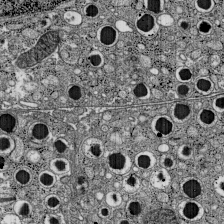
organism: C57BL Mouse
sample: Pancreatic islet